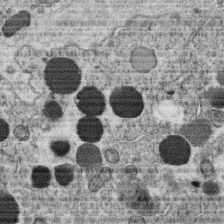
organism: C. elegans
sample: C. elegans oocyte; sperm cells